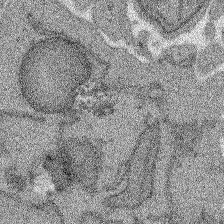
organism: Human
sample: HeLa cells